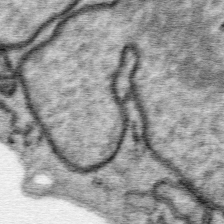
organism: Human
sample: HeLa cells